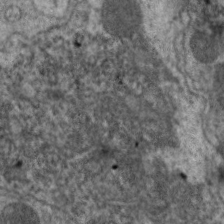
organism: C. elegans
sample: Pharynx